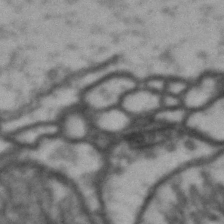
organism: Drosophila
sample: Brain